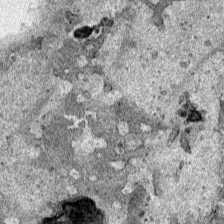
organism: Human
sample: Mitochondria in HCT116 cells